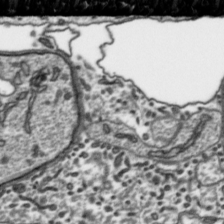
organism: Toxoplasma gondii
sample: Parasites in a vacuole inside a host cell